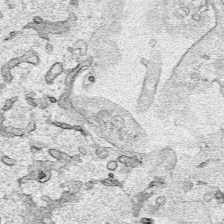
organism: Human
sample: Mitochondria in HCT116 cells